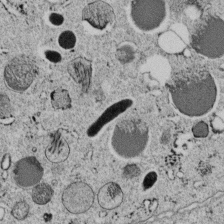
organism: C. elegans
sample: C. elegans embryo early stage